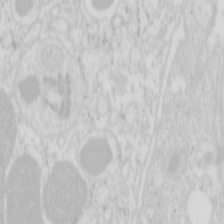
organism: Mouse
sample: Pancreas